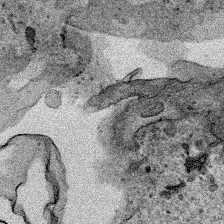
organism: Human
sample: Mitochondria in HCT116 cells